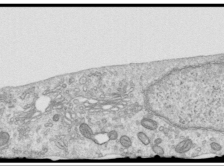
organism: Human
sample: Centriole in RPE cells